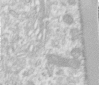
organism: Human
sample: Centriole in RPE cells